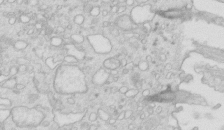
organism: Mouse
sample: Multiciliated cells